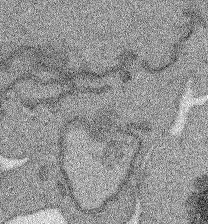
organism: Human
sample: HeLa cells